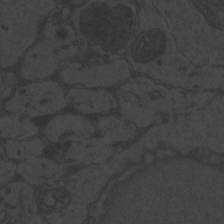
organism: Zebrafish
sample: Macrophage infected with Toxoplasma gondii